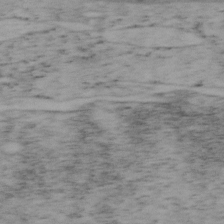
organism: Mouse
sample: OT-I killer T cells with ID8 ovarian cancer cells